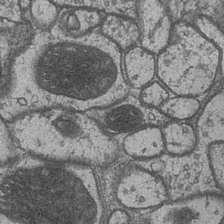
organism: Drosophila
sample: Optic medulla